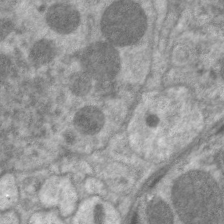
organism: C. elegans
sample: Pharynx